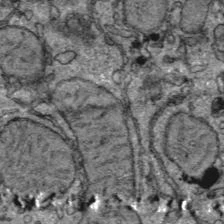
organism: C57BL Mouse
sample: Liver